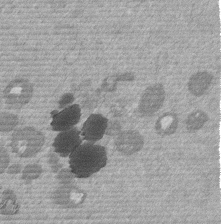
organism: Mouse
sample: Dividing mouse embryo 1 cell stage